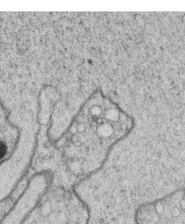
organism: C. elegans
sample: C. elegans oocyte; sperm cells